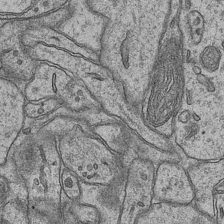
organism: Mouse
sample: CA1 Hippocampus